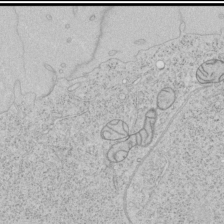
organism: Human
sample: Mitochondria in HCT116 cells